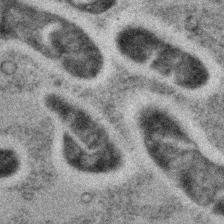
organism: C. elegans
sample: C. elegans embryo